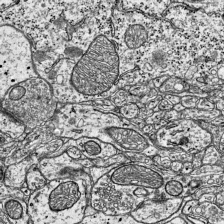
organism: Mouse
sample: Visual Cortex